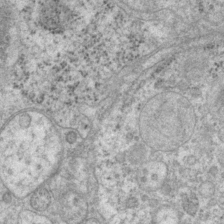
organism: P. pacificus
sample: Pharynx